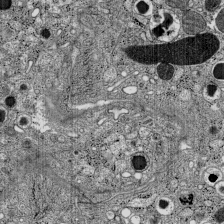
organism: C57BL Mouse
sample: Pancreatic islet